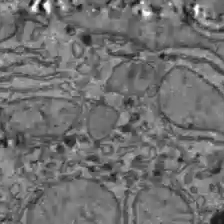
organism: C57BL Mouse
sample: Liver